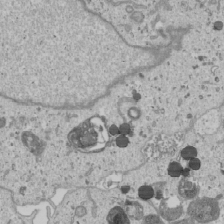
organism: Human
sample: Mitochondria in U2OS cells